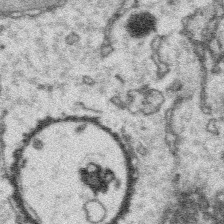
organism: Platynereis dumerilii